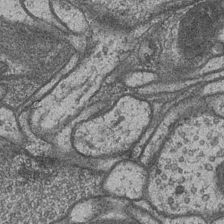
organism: Drosophila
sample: Optic medulla